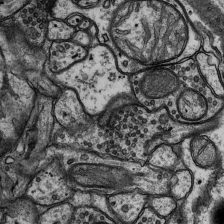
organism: Rat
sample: Hippocampus